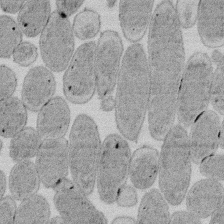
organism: E. coli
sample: Bacterial nucleoid